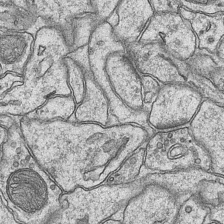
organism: Mouse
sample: CA1 Hippocampus